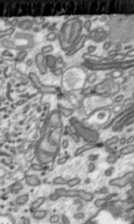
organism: Toxoplasma gondii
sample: Parasites in a vacuole inside a host cell